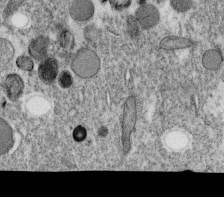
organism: C. elegans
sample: C. elegans oocyte; sperm cells